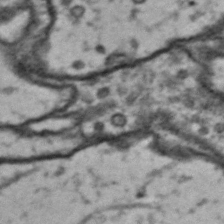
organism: Drosophila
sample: Brain